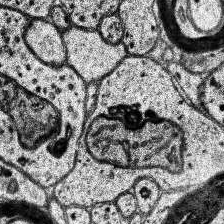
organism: Human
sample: Temporal Lobe